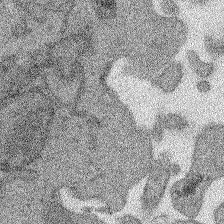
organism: Human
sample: HeLa cells